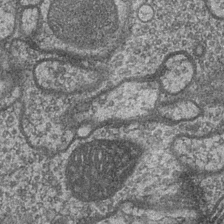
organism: Drosophila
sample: Optic medulla